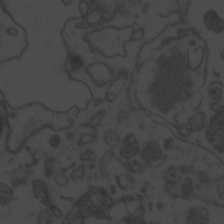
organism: Zebrafish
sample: Macrophage infected with Toxoplasma gondii